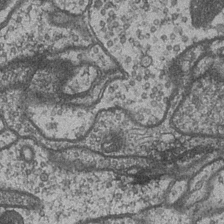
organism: Drosophila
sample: Optic medulla